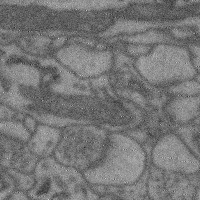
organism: Mouse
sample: Cerebral cortex